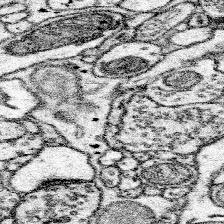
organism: Mouse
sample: Somatosensory cortex neuropil